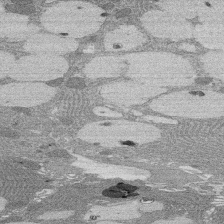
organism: Rat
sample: Salivary granule